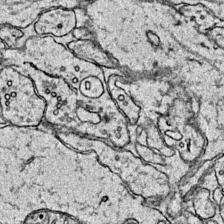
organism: Mouse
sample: Primary visual cortex